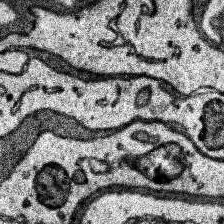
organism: Human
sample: Temporal Lobe